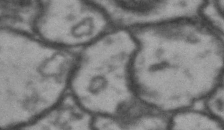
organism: Drosophila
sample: Brain